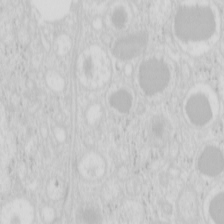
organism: Mouse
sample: Pancreas